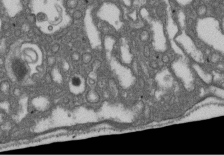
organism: Drosophila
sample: Nephrocyte